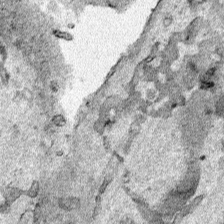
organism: Human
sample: Mitochondria in HCT116 cells